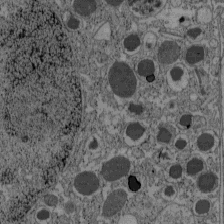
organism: C57BL Mouse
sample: Pancreatic islet